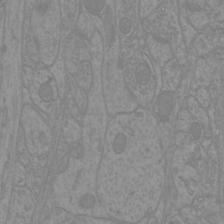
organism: Mouse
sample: Cortical neurons